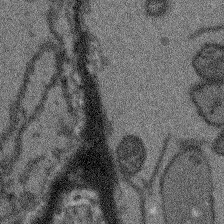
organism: Arabidopsis thaliana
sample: Root tip